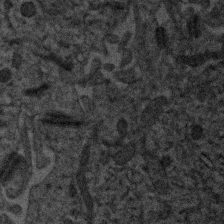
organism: Human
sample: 1205lu cells